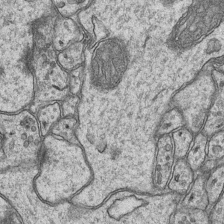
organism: Mouse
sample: CA1 Hippocampus